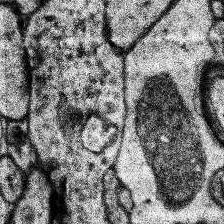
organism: Human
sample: Temporal Lobe